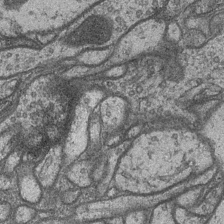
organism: Drosophila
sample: Optic medulla